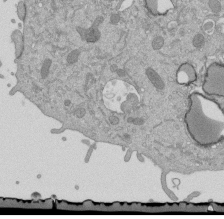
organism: Mouse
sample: ED-1 cell nuclei; centrioles